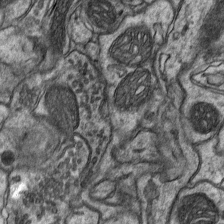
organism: Mouse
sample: CA1 Hippocampus